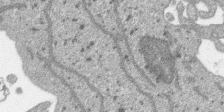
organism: Human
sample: Lung epithelial cells infected with SARS-CoV-2